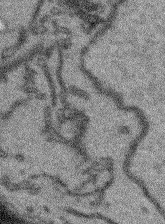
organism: Arabidopsis thaliana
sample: Root tip